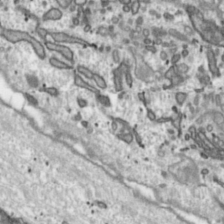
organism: Toxoplasma gondii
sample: Parasites in a vacuole inside a host cell